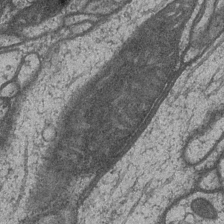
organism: Drosophila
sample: Optic medulla